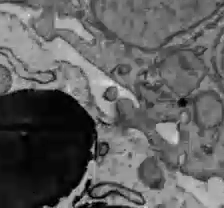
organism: C57BL Mouse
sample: Liver